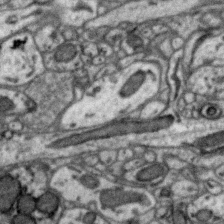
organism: Zebra finch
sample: Brain